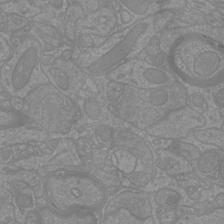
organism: Mouse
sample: Cortical neurons